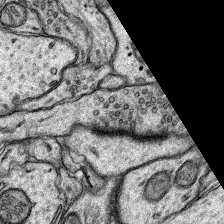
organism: Rat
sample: Hippocampus